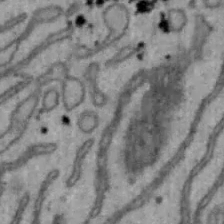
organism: Mouse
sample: Liver